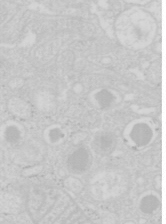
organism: Mouse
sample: Pancreas